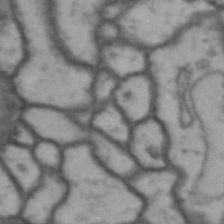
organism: Drosophila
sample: Brain